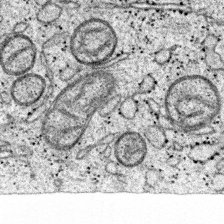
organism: Human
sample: HeLa cells